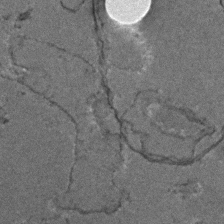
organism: Zebrafish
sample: Zebrafish embryo